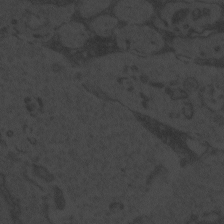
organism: Zebrafish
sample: Macrophage infected with Toxoplasma gondii